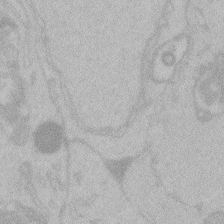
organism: Zebrafish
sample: Macrophage infected with Toxoplasma gondii